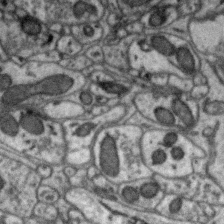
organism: Zebra finch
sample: Brain